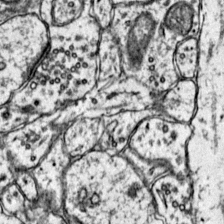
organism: Mouse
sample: Primary visual cortex